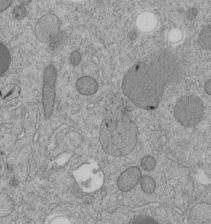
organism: C. elegans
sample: C. elegans embryo early stage